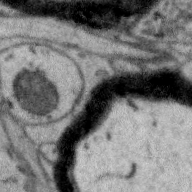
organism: Zebra finch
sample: Brain